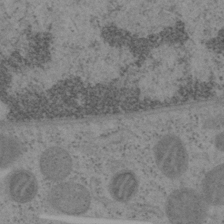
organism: Mouse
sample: OT-I killer T cells with ID8 ovarian cancer cells